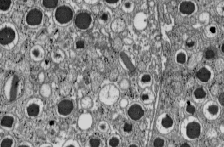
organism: C57BL Mouse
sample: Pancreatic islet